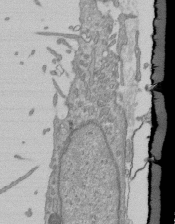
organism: Mouse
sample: ED-1 cell nuclei; centrioles